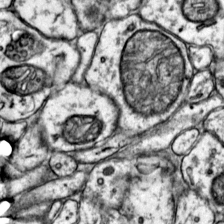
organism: Mouse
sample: Primary visual cortex